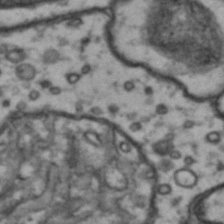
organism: Drosophila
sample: Brain